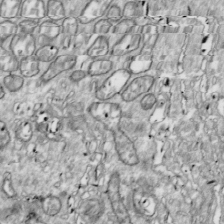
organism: Drosophila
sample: Cell division; meiosis; drosophila spermatocytes